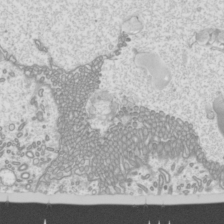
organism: Mouse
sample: Cilia; mouse epididymis